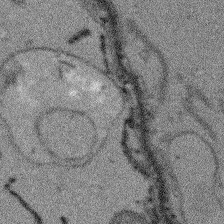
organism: Arabidopsis thaliana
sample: Root tip